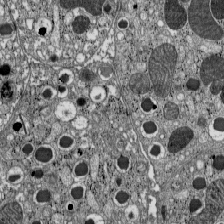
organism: C57BL Mouse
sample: Pancreatic islet